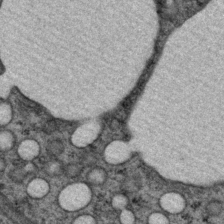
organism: P. pacificus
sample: Pharynx